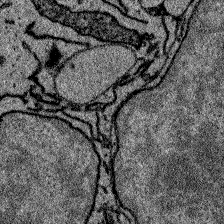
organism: Zebrafish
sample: Larval olfactory bulb